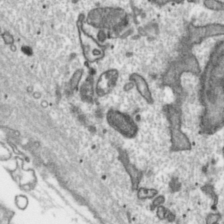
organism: Toxoplasma gondii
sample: Parasites in a vacuole inside a host cell